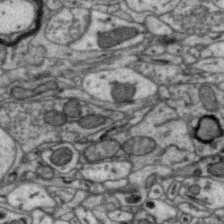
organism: Zebra finch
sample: Brain